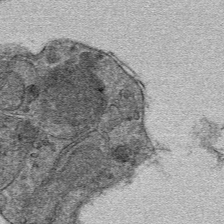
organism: Mouse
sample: Mouse hepatocytes